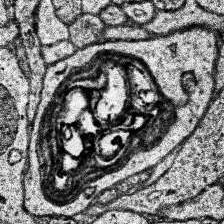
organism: Human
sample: Temporal Lobe